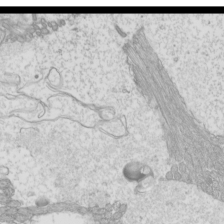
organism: Mouse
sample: Cilia; mouse epididymis